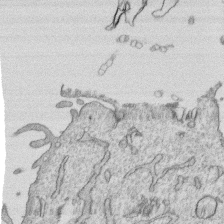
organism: Human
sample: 1205lu cells